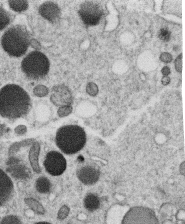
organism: C. elegans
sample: C. elegans oocyte; sperm cells